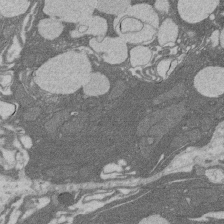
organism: Rat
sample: Salivary granule